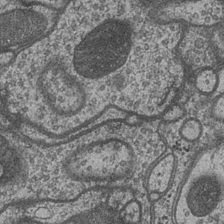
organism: Drosophila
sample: Optic medulla